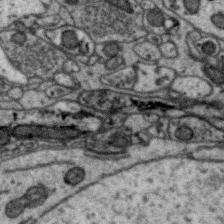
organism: Zebra finch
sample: Brain